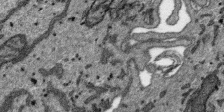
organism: Human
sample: Lung epithelial cells, uninfected (mock) control